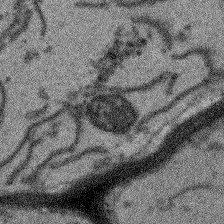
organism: Arabidopsis thaliana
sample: Root tip